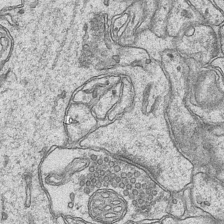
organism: Mouse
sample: CA1 Hippocampus